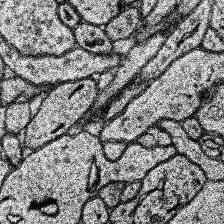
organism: Human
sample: Temporal Lobe